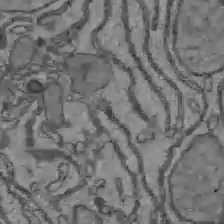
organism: C57BL Mouse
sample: Liver